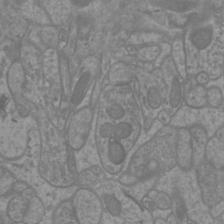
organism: Mouse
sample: Cortical neurons